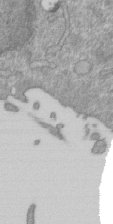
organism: Mouse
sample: ED-1 cell nuclei; centrioles